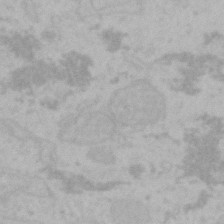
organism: Mouse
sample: Choroid plexus